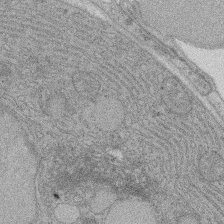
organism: Rat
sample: Salivary granule